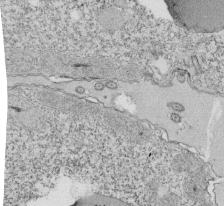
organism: Tetrahymena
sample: Cilia in tetrahymena